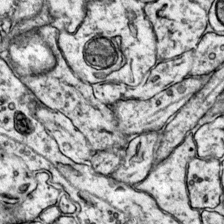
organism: Mouse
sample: Primary visual cortex